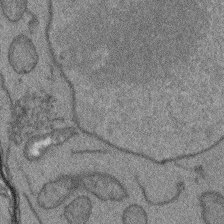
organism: Arabidopsis thaliana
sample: Root tip